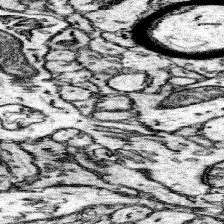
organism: Mouse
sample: Somatosensory cortex neuropil